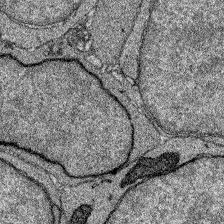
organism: Zebrafish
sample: Larval olfactory bulb